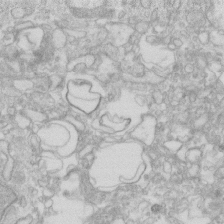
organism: Human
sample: Fibroblast cells